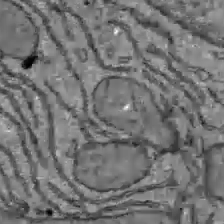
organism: C57BL Mouse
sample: Liver